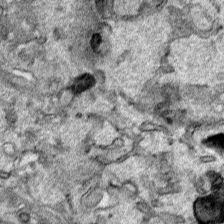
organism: Human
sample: Mitochondria in HCT116 cells